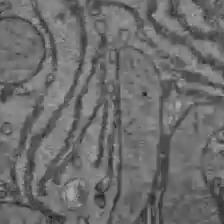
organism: C57BL Mouse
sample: Liver